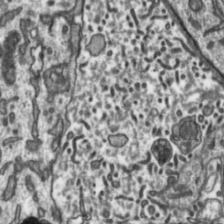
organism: Toxoplasma gondii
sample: Parasites in a vacuole inside a host cell